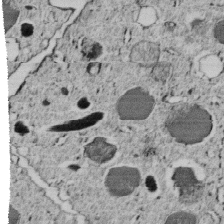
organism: C. elegans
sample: C. elegans embryo early stage